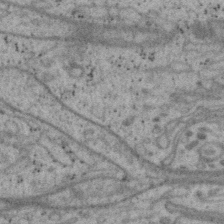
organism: Human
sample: HeLa cells